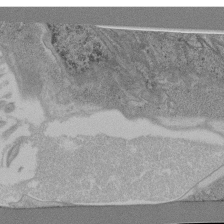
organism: C. elegans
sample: C. elegans pharynx